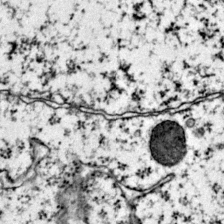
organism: Mouse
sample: Primary visual cortex